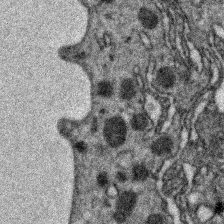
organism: Zebrafish